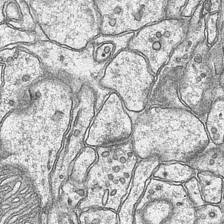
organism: Mouse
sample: CA1 Hippocampus